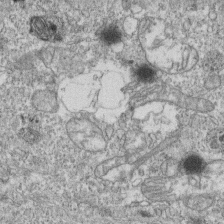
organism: Human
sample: HeLa cell HIV synapse